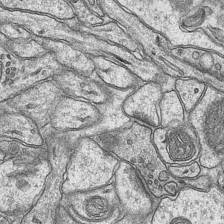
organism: Mouse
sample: CA1 Hippocampus